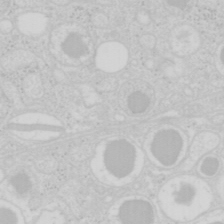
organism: Mouse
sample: Pancreas